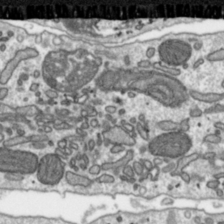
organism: Toxoplasma gondii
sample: Parasites in a vacuole inside a host cell